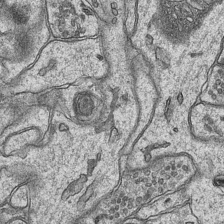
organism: Mouse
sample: CA1 Hippocampus